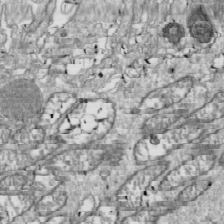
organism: Drosophila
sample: Cell division; meiosis; drosophila spermatocytes